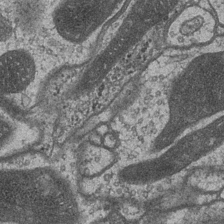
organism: Drosophila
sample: Optic medulla